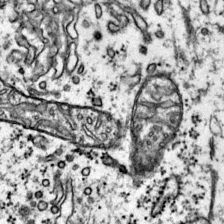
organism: Mouse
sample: Primary visual cortex